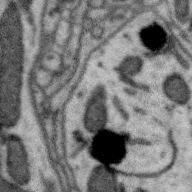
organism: Zebra finch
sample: Brain